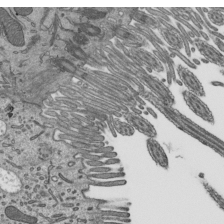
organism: Mouse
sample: Mouse epididymis efferent ductule cilia